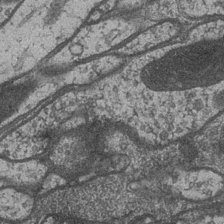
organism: Drosophila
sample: Optic medulla